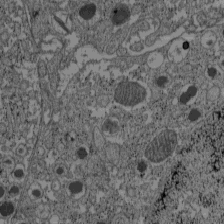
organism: C57BL Mouse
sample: Pancreatic islet